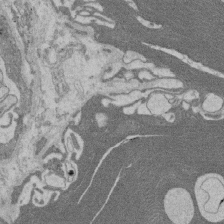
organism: Rat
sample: Salivary granule